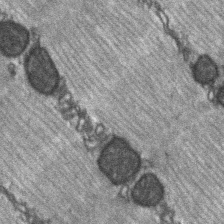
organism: C57BL Mouse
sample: Soleus